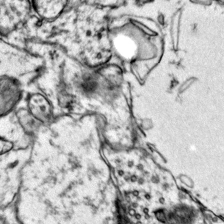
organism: Mouse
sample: Primary visual cortex